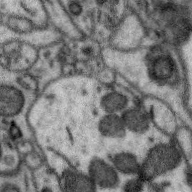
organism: Zebra finch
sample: Brain